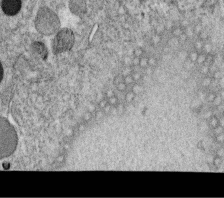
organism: C. elegans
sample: C. elegans oocyte; sperm cells